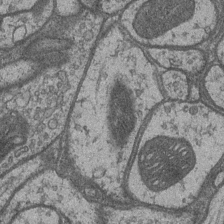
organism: Drosophila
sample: Optic medulla